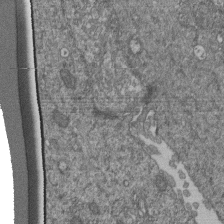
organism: Human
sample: Retinal organoid Rod and Cone cells